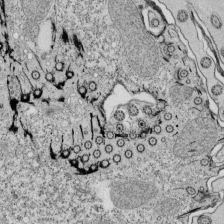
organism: Tetrahymena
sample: Cilia in tetrahymena